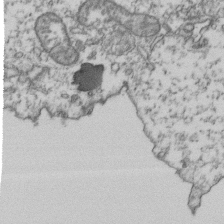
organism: Human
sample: Activated Jurkat CD4+ T cells